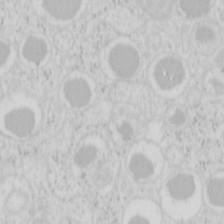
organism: Mouse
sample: Pancreas